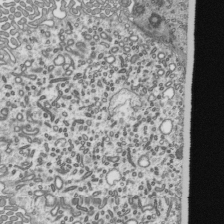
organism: Mouse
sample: Mouse epididymis efferent ductule cilia